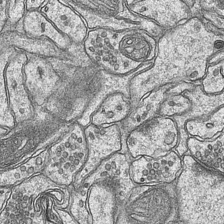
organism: Mouse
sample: CA1 Hippocampus